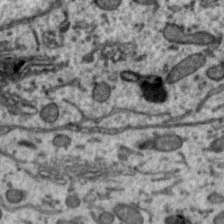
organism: Zebra finch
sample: Brain